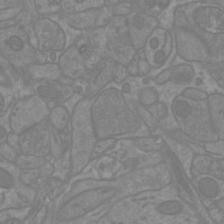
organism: Mouse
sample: Cortical neurons